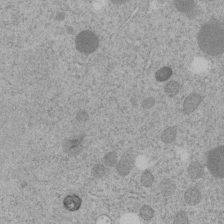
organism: C. elegans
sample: C. elegans embryo early stage